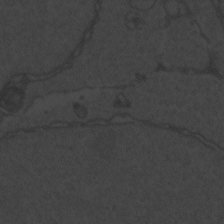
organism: Zebrafish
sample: Macrophage infected with Toxoplasma gondii